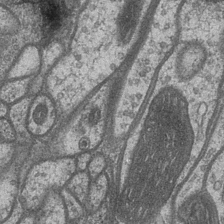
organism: Drosophila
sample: Optic medulla